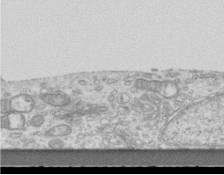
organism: Mouse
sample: Centriole in ependymal cells